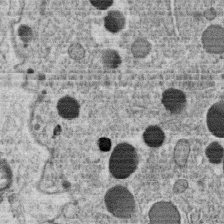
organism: C. elegans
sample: C. elegans oocyte; sperm cells